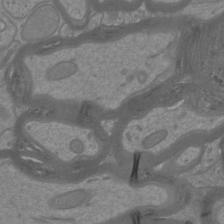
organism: Mouse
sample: Cortical neurons